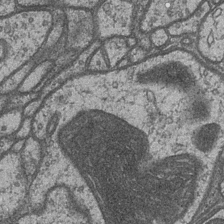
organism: Drosophila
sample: Optic medulla